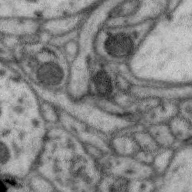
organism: Zebra finch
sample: Brain